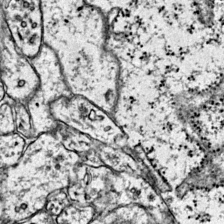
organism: Mouse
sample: Primary visual cortex